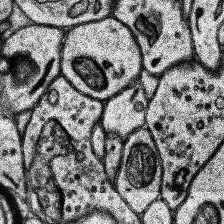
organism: Human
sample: Temporal Lobe